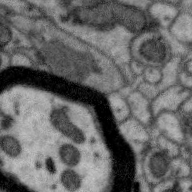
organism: Zebra finch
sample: Brain